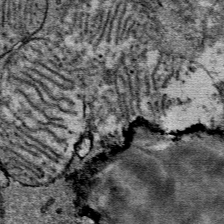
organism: Mouse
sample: Mouse Salivary gland